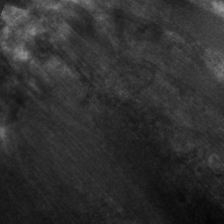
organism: C. elegans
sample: Pharynx